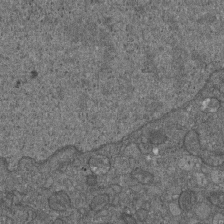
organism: Drosophila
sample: Nephrocyte